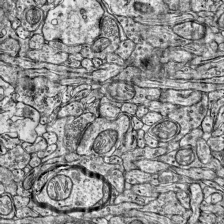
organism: Mouse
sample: Visual Cortex